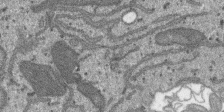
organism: Human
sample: Lung epithelial cells infected with SARS-CoV-2